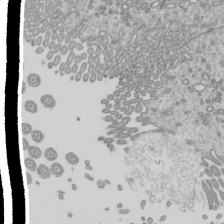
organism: Mouse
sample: Cilia; mouse epididymis